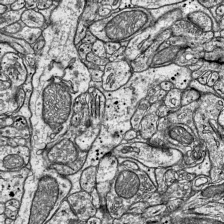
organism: Mouse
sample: Visual Cortex